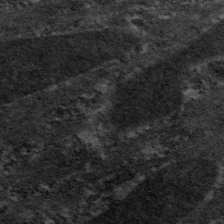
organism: C. elegans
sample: Pharynx